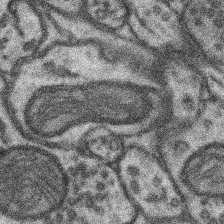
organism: Mouse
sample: Somatosensory cortex neuropil